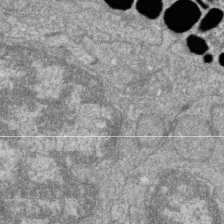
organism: Zebrafish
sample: Cilia; retinal pigment epithelium